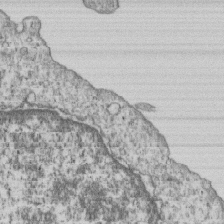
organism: Human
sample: MDA-MB-231 cells